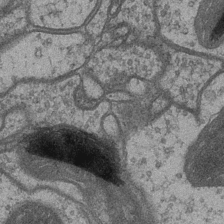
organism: Drosophila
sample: Optic medulla